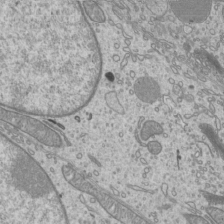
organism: Mouse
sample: Cilia; mouse epididymis